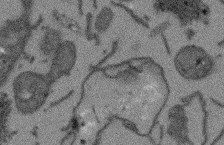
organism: Arabidopsis thaliana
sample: Root tip